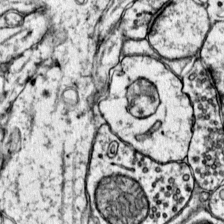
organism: Mouse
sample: Primary visual cortex